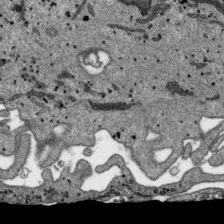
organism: Human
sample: Lung epithelial cells, uninfected (mock) control